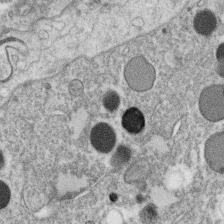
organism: C. elegans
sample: C. elegans oocyte; sperm cells